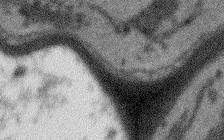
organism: Arabidopsis thaliana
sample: Root tip